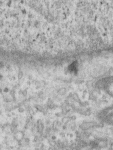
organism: Human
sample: Centriole in RPE cells